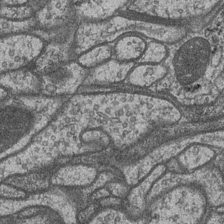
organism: Drosophila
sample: Optic medulla